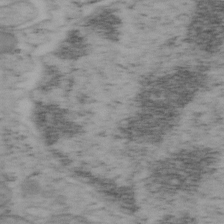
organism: Mouse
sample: OT-I killer T cells with ID8 ovarian cancer cells